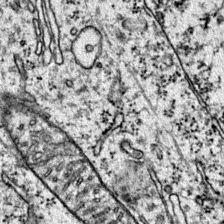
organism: Mouse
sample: Primary visual cortex